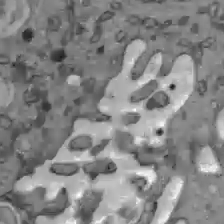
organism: C57BL Mouse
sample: Liver